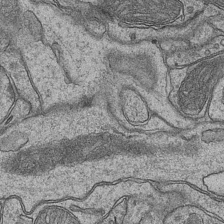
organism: Mouse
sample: CA1 Hippocampus